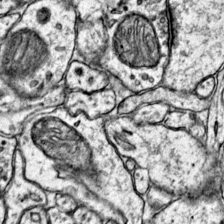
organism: Mouse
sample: Primary visual cortex